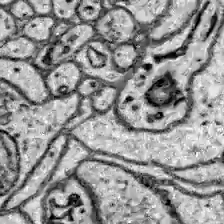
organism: Zebrafish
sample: Brain